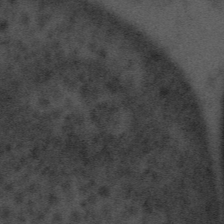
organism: Tuwongella immobilis